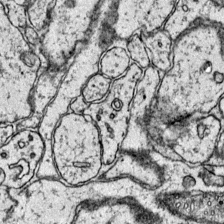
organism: Mouse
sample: Primary visual cortex